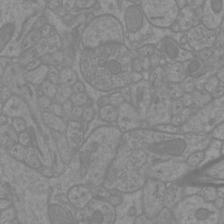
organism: Mouse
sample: Cortical neurons